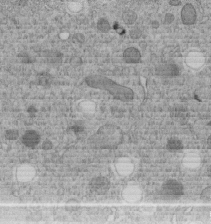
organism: C. elegans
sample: C. elegans embryo early stage